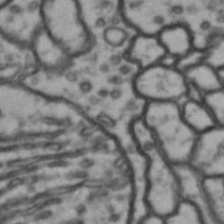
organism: Drosophila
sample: Brain